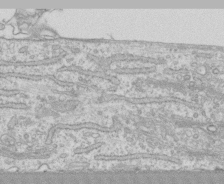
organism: Human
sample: CRL-1474